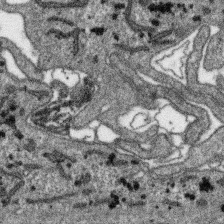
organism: Human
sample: Lung epithelial cells infected with SARS-CoV-2